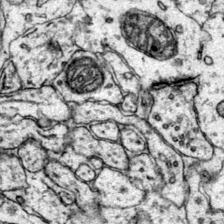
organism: Mouse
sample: Primary visual cortex